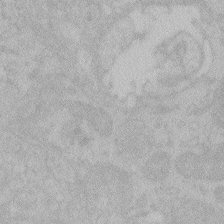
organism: Zebrafish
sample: Macrophage infected with Toxoplasma gondii